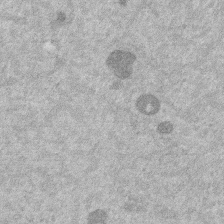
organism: Mouse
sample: Dividing mouse embryo 1 cell stage